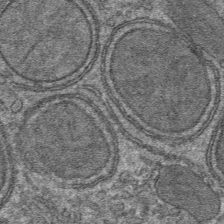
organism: Mouse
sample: Mouse hepatocytes